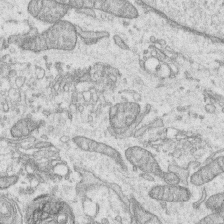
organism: Human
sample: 1205lu cells